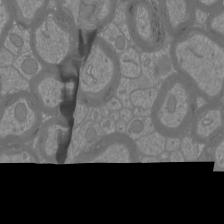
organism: Mouse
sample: Cortical neurons